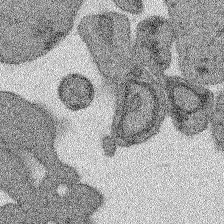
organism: Human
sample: HeLa cells